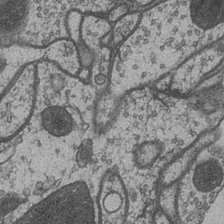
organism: Drosophila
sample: Optic medulla